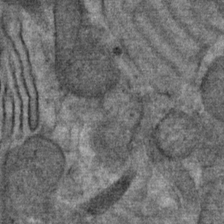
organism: Mouse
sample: Mouse Salivary gland